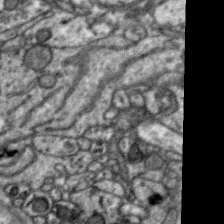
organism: Zebra finch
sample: Brain